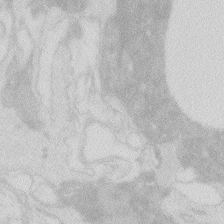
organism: Zebrafish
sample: Macrophage